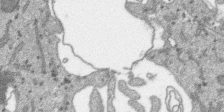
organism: Human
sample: Lung epithelial cells infected with SARS-CoV-2